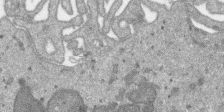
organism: Human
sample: Lung epithelial cells infected with SARS-CoV-2